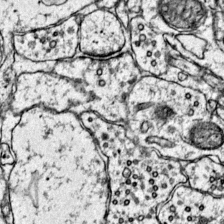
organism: Mouse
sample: Primary visual cortex